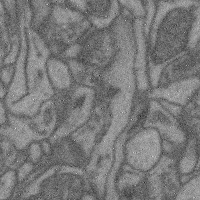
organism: Mouse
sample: Cerebral cortex